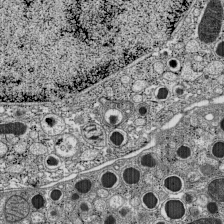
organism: C57BL Mouse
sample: Pancreatic islet